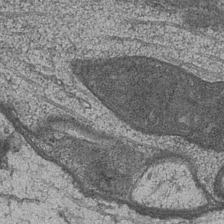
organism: Drosophila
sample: Optic medulla